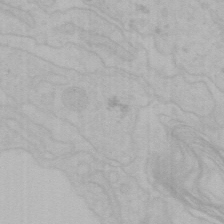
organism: Mouse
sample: Choroid plexus